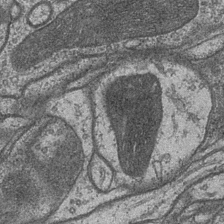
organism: Drosophila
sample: Optic medulla